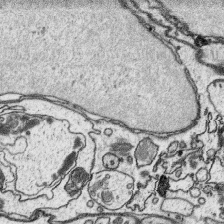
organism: Platynereis dumerilii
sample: Parapodia